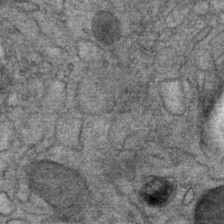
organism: Mouse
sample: Mouse Salivary gland